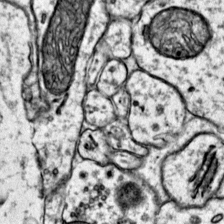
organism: Mouse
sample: Primary visual cortex